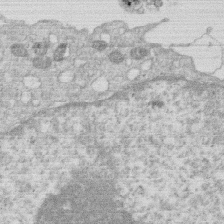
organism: Human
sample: Macrophage cells